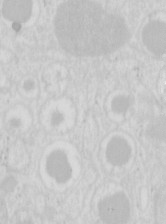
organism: Mouse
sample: Pancreas